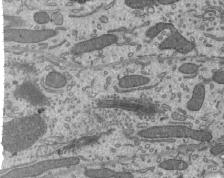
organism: Mouse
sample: Mouse epididymis efferent ductule cilia